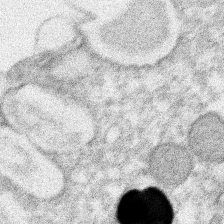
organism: Xenopus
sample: Cilia; centrioles in frog embryo cells